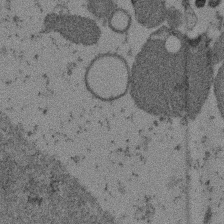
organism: Mouse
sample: Dividing mouse embryo 1 cell stage